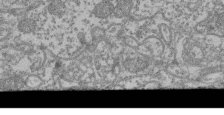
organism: Mouse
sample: Glomerulus